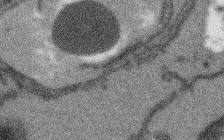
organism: Arabidopsis thaliana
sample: Root tip